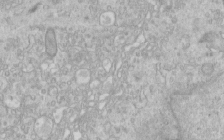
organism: Human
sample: Centriole in RPE cells